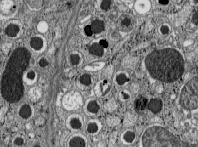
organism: C57BL Mouse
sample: Pancreatic islet